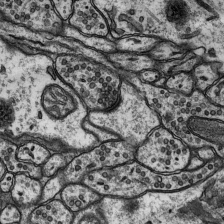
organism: Rat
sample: Hippocampus